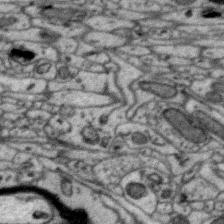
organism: Zebra finch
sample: Brain